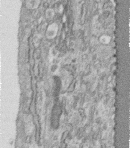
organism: Human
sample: Centriole in fibroblast cells